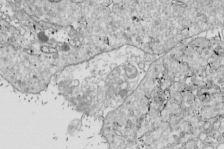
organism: Drosophila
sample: Cell division; meiosis; drosophila spermatocytes